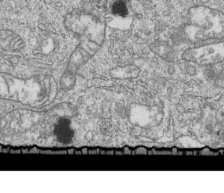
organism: Human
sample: HeLa cell HIV synapse